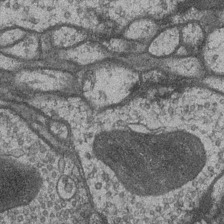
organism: Drosophila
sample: Optic medulla